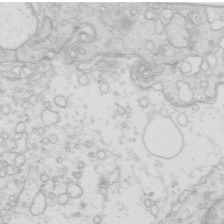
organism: Mouse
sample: Multiciliated cells